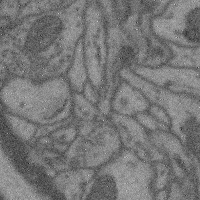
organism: Mouse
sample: Cerebral cortex